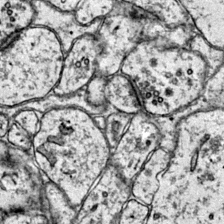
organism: Mouse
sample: Primary visual cortex